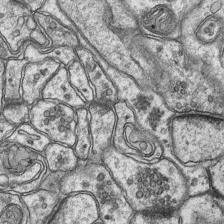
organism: Mouse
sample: CA1 Hippocampus